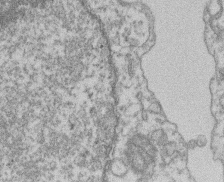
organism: Mouse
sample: T cell stromal cell synapse